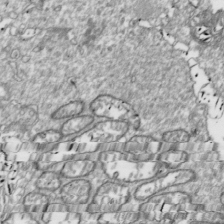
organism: Drosophila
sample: Cell division; meiosis; drosophila spermatocytes